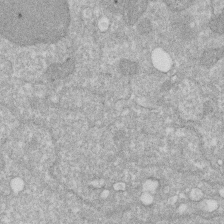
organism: Human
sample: HIV infected U937 cells